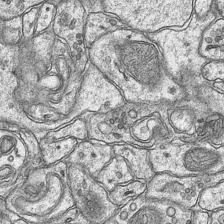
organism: Mouse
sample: CA1 Hippocampus